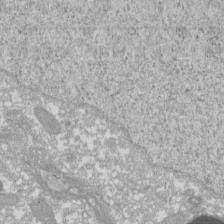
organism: Xenopus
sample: Cilia; centrioles in frog embryo cells